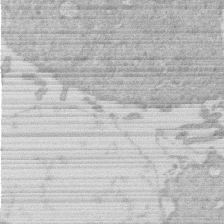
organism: Human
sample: Macrophage cells